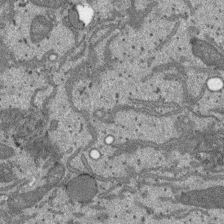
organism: Human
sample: Lung epithelial cells infected with SARS-CoV-2